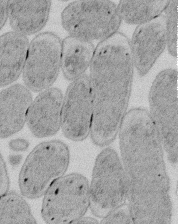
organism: E. coli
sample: Bacterial nucleoid